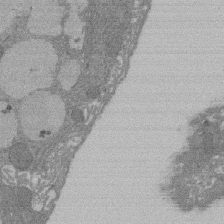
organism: Rat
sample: Salivary granule